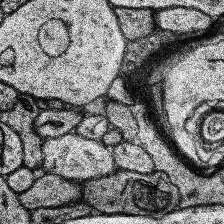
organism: Human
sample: Temporal Lobe